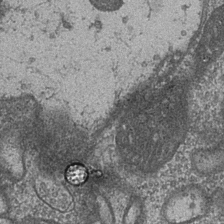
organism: Drosophila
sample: Optic medulla